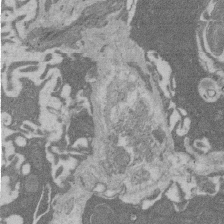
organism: Rat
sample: Salivary granule